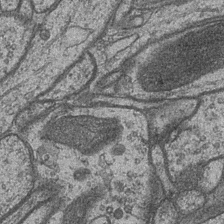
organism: Drosophila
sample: Optic medulla